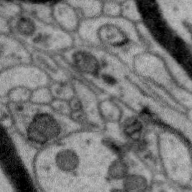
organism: Zebra finch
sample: Brain